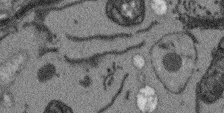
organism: Arabidopsis thaliana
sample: Root tip